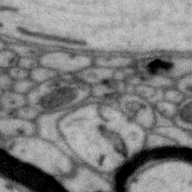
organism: Zebra finch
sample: Brain